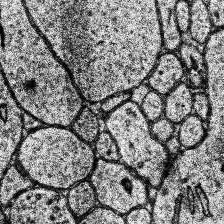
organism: Human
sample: Temporal Lobe